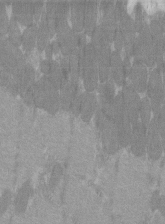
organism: C57BL Mouse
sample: Tibialis anterior muscle cell